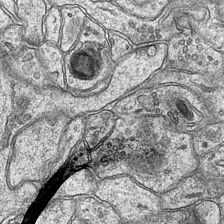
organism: Mouse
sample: CA1 Hippocampus